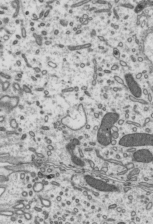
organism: Mouse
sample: Mouse epididymis efferent ductule cilia